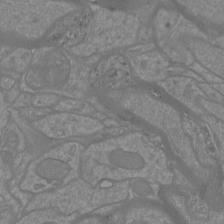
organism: Mouse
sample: Cortical neurons